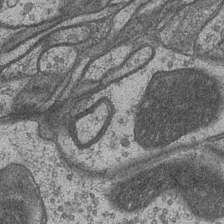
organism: Drosophila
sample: Optic medulla